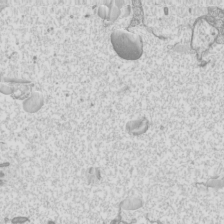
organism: Mouse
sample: Cilia; mouse epididymis